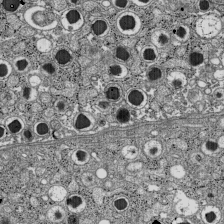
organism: C57BL Mouse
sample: Pancreatic islet